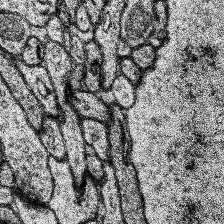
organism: Human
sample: Temporal Lobe